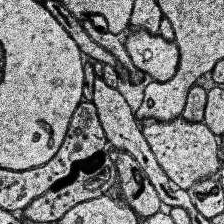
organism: Human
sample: Temporal Lobe